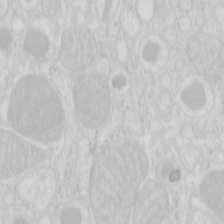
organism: Mouse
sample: Pancreas